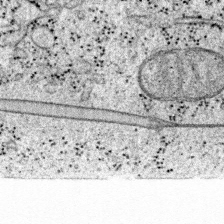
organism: Human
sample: HeLa cells